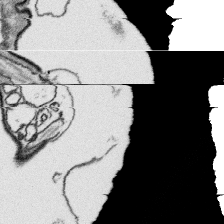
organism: Platynereis dumerilii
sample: Parapodia